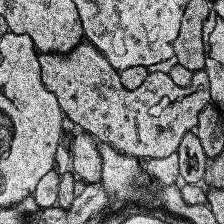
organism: Human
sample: Temporal Lobe